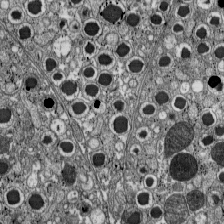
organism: C57BL Mouse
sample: Pancreatic islet